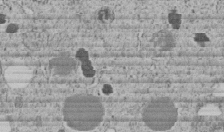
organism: C. elegans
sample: C. elegans embryo early stage